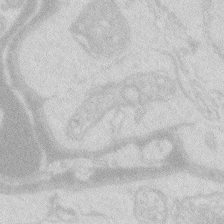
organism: Zebrafish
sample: Macrophage